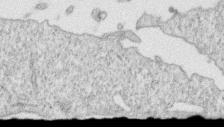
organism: Human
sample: HeLa cell HIV synapse